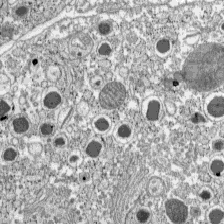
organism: C57BL Mouse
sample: Pancreatic islet